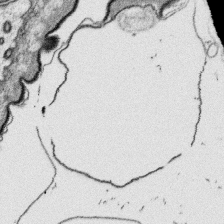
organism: Platynereis dumerilii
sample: Parapodia